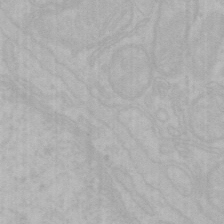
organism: Mouse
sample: Choroid plexus